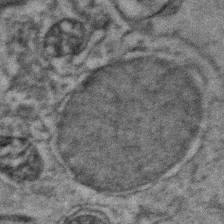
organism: Zebrafish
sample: Zebrafish embryo